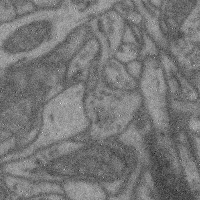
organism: Mouse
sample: Cerebral cortex